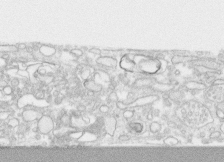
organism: Human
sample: CRL-1474